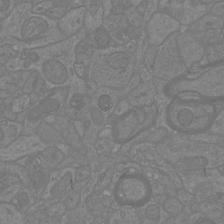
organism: Mouse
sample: Cortical neurons